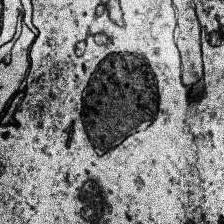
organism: Human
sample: Temporal Lobe